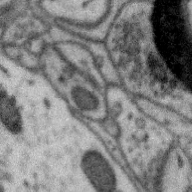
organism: Zebra finch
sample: Brain